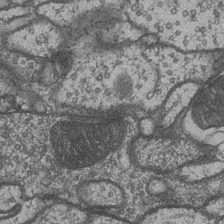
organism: Drosophila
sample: Optic medulla